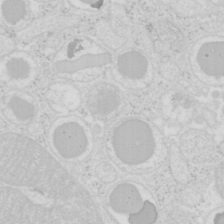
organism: Mouse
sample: Pancreas